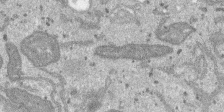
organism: Human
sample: Lung epithelial cells infected with SARS-CoV-2